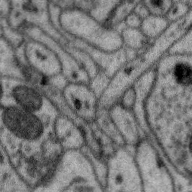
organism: Zebra finch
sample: Brain